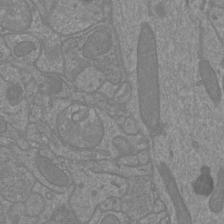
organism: Mouse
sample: Cortical neurons